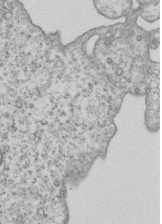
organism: Human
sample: MDA-MB-231 cells